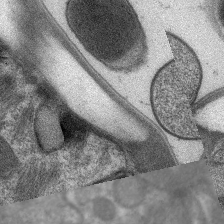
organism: C. elegans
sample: Pharynx